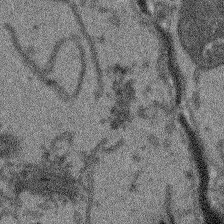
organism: Arabidopsis thaliana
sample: Root tip